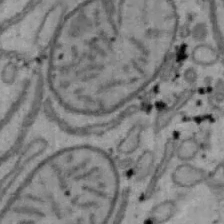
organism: Mouse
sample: Liver